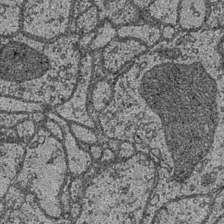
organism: Drosophila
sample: Optic medulla